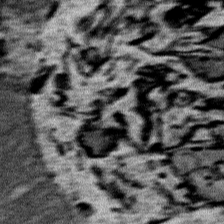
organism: Mouse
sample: Mouse Salivary gland